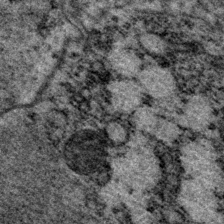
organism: P. pacificus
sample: Pharynx